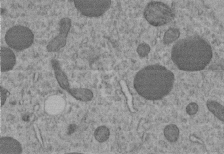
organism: C. elegans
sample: C. elegans embryo early stage